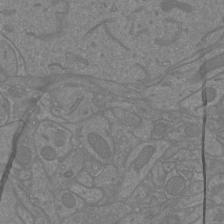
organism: Mouse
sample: Cortical neurons